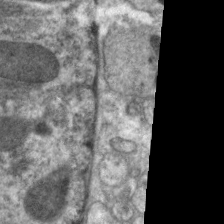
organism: C. elegans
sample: Pharynx